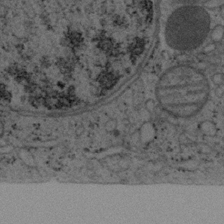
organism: Human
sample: HeLa cells